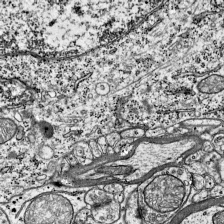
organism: Mouse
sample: Visual Cortex